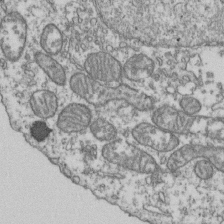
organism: Human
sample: Activated Jurkat CD4+ T cells